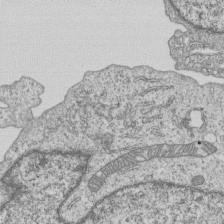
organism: Human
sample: MDA-MB-231 cells